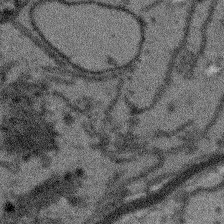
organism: Arabidopsis thaliana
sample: Root tip